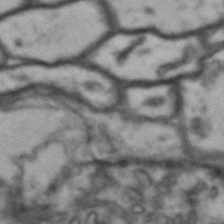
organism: Drosophila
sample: Brain